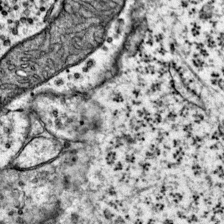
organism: Mouse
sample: Primary visual cortex